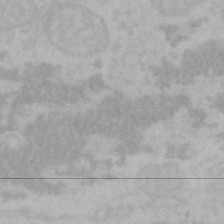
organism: Mouse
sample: Choroid plexus